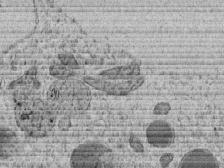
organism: C. elegans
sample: C. elegans embryo early stage